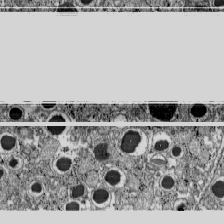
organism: C57BL Mouse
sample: Pancreatic islet